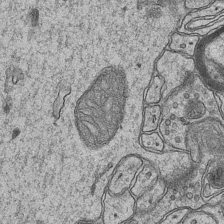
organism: Mouse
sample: CA1 Hippocampus